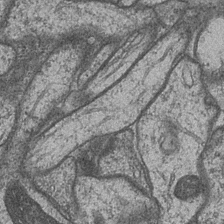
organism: Drosophila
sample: Optic medulla